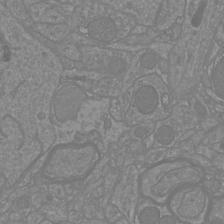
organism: Mouse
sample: Cortical neurons